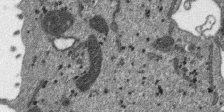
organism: Human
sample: Lung epithelial cells infected with SARS-CoV-2